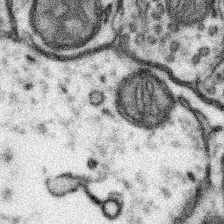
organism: Mouse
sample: Somatosensory cortex neuropil